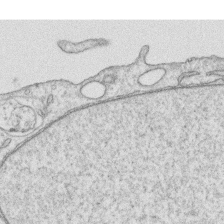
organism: Human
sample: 1205lu cells